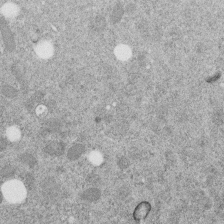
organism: C. elegans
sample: C. elegans embryo early stage